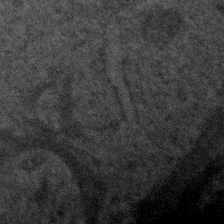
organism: Human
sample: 1205lu cells